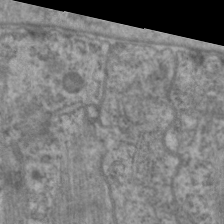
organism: C. elegans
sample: Pharynx